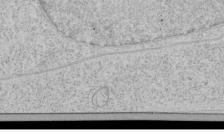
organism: Human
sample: Mitochondria in HCT116 cells